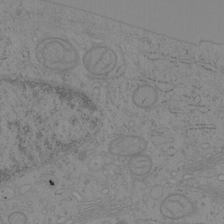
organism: Human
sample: HeLa cells